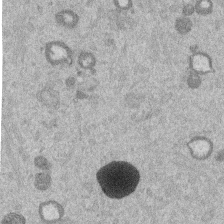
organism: Mouse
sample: Dividing mouse embryo 1 cell stage